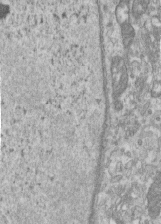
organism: Human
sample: Centriole in RPE cells